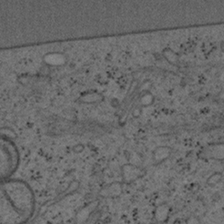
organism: Human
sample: HeLa cells